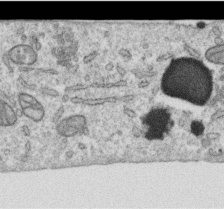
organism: Human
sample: Centriole in RPE cells